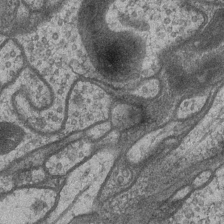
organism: Drosophila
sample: Optic medulla